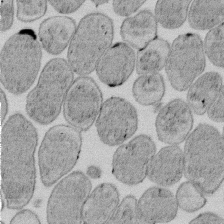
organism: E. coli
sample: Bacterial nucleoid